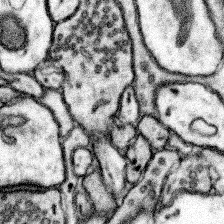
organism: Mouse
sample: Somatosensory cortex neuropil